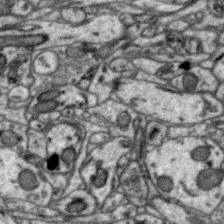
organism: Zebra finch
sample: Brain